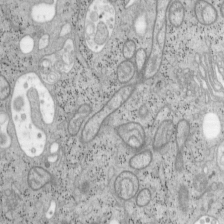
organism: Mouse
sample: OT-I killer T cells with ID8 ovarian cancer cells